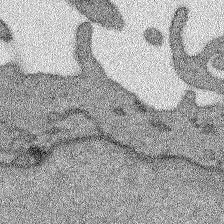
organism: Human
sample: HeLa cells